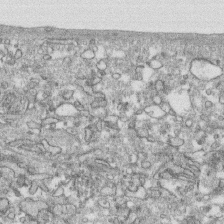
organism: Human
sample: CRL-1474